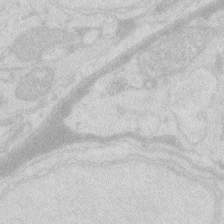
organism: Zebrafish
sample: Macrophage